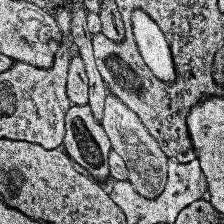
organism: Human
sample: Temporal Lobe